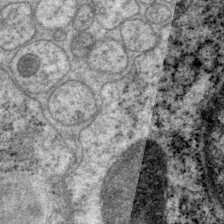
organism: P. pacificus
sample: Pharynx